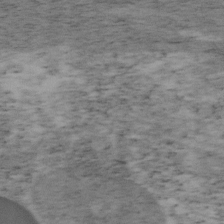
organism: Mouse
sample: OT-I killer T cells with ID8 ovarian cancer cells